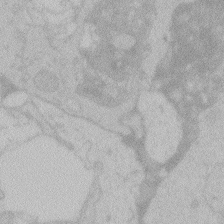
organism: Zebrafish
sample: Macrophage infected with Toxoplasma gondii